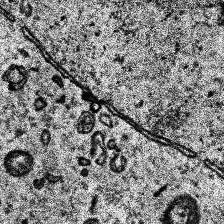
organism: Human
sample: Temporal Lobe